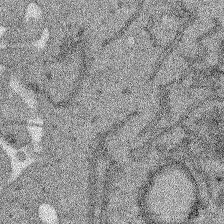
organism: Human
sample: HeLa cells